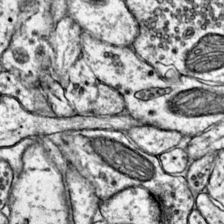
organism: Mouse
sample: Primary visual cortex